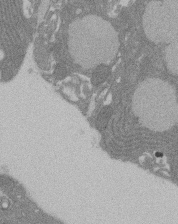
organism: Rat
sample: Salivary granule